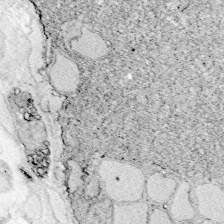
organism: Zebrafish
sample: Whole-Brain